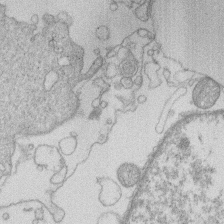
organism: Human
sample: Macrophage cells